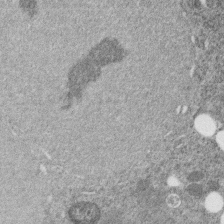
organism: C. elegans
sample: C. elegans embryo early stage